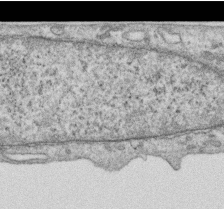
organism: Human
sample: Centriole in RPE cells